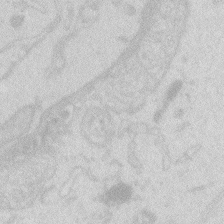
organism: Zebrafish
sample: Macrophage